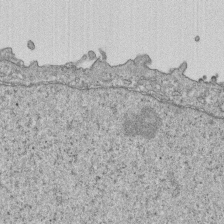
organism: Human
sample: HeLa cell HIV synapse